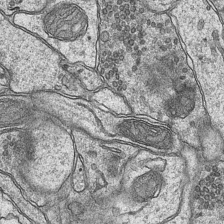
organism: Mouse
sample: CA1 Hippocampus